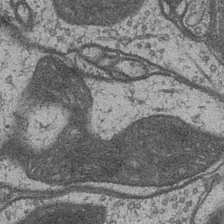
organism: Drosophila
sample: Optic medulla